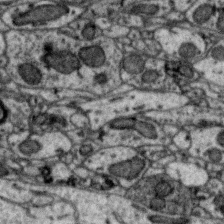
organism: Zebra finch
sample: Brain